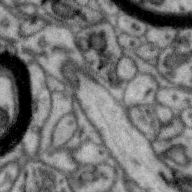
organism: Zebra finch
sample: Brain